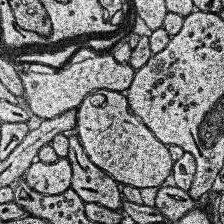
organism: Human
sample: Temporal Lobe